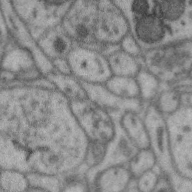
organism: Zebra finch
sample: Brain